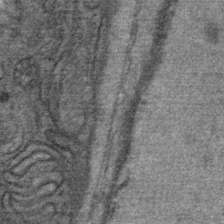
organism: Mouse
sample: Mouse Salivary gland